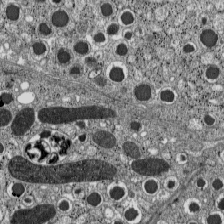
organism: C57BL Mouse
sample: Pancreatic islet